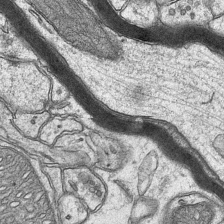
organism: Mouse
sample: CA1 Hippocampus